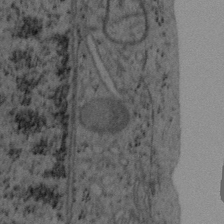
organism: Human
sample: HeLa cells